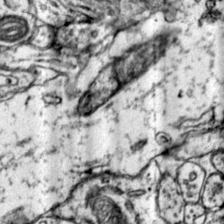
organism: Mouse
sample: Primary visual cortex